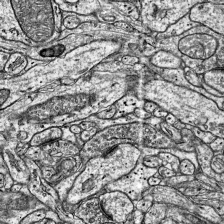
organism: Mouse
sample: Visual Cortex